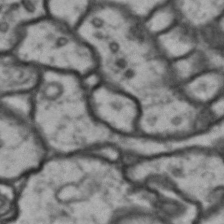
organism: Drosophila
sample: Brain